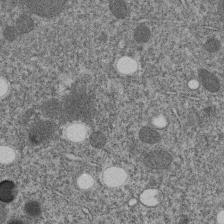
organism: C. elegans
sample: C. elegans embryo early stage